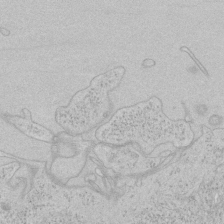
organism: Human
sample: Mitochondria in HCT116 cells